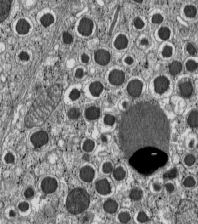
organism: C57BL Mouse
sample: Pancreatic islet